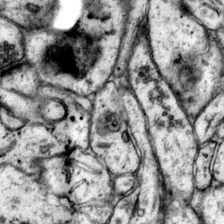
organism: Mouse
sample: Primary visual cortex